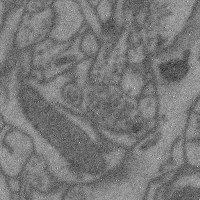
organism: Mouse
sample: Cerebral cortex